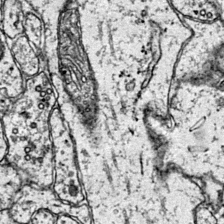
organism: Mouse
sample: Primary visual cortex